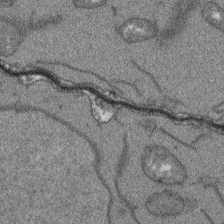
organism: Arabidopsis thaliana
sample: Root tip